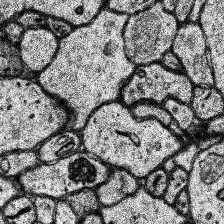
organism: Human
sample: Temporal Lobe